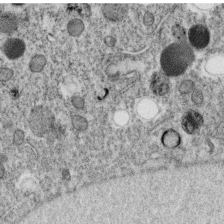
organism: C. elegans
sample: C. elegans oocyte; sperm cells